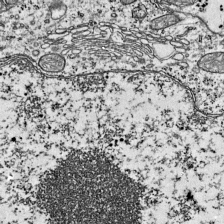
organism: Mouse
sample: Visual Cortex